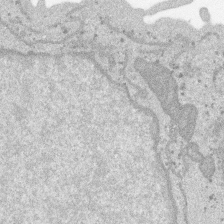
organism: Human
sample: Lung epithelial cells infected with SARS-CoV-2